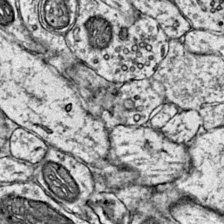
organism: Mouse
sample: Primary visual cortex